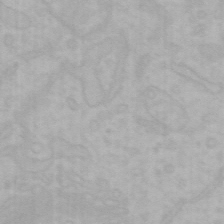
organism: Mouse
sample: Choroid plexus